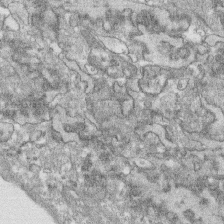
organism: Human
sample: CRL-1474